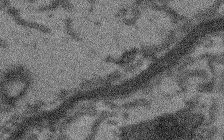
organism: Arabidopsis thaliana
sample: Root tip